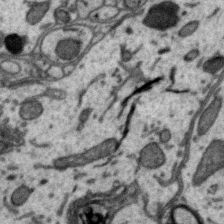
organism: Zebra finch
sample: Brain